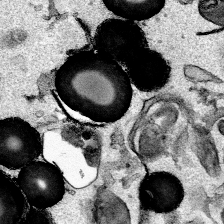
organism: Mouse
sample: Cancer cell death in ED-1 cells